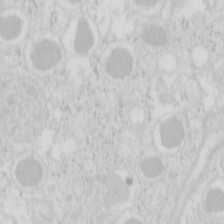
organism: Mouse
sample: Pancreas